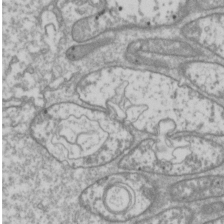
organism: Drosophila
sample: Cell division; meiosis; drosophila spermatocytes